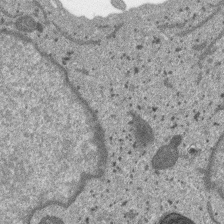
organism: Human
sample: Lung epithelial cells infected with SARS-CoV-2